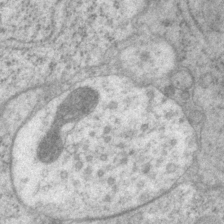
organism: P. pacificus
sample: Pharynx